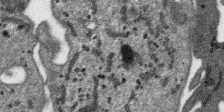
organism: Human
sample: Lung epithelial cells infected with SARS-CoV-2